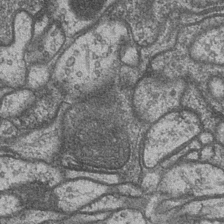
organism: Drosophila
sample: Optic medulla